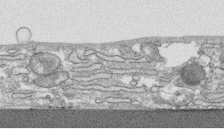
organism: Human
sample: CRL-1474